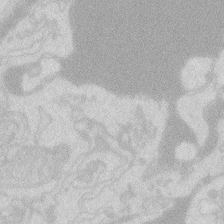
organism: Zebrafish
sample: Macrophage